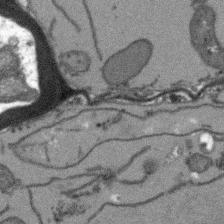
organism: Arabidopsis thaliana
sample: Root tip